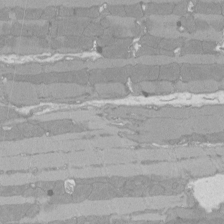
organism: Rat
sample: Left ventricle